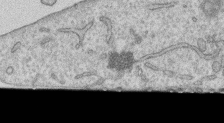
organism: Human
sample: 1205lu cells